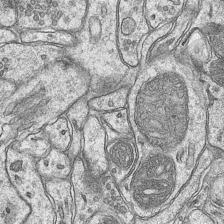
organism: Mouse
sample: CA1 Hippocampus